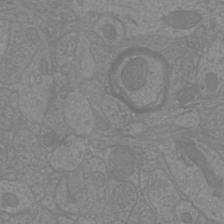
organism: Mouse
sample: Cortical neurons